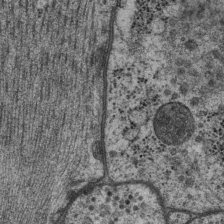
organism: P. pacificus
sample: Pharynx